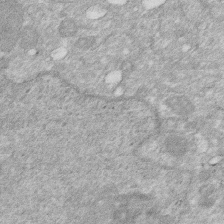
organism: Human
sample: HIV infected U937 cells